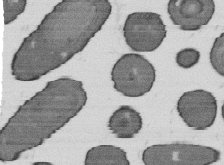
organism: B. subtilis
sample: Bacterial spore